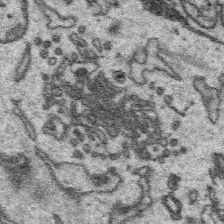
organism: Platynereis dumerilii